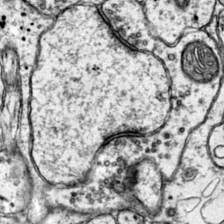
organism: Mouse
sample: Primary visual cortex